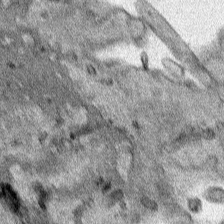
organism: Human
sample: Mitochondria in HCT116 cells